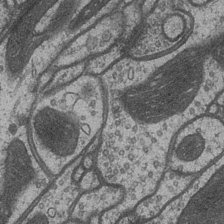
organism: Drosophila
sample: Optic medulla